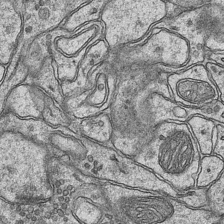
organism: Mouse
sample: CA1 Hippocampus